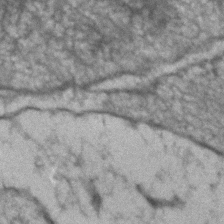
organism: Human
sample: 1205lu cells